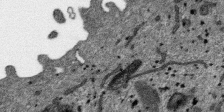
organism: Human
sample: Lung epithelial cells, uninfected (mock) control